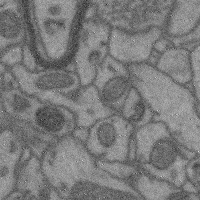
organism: Mouse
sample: Cerebral cortex